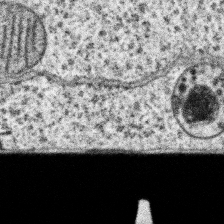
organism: Human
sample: HeLa cells